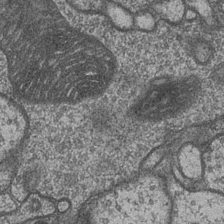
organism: Drosophila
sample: Optic medulla